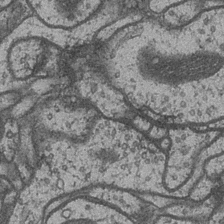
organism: Drosophila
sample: Optic medulla